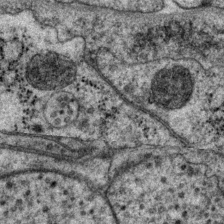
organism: P. pacificus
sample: Pharynx